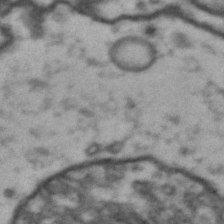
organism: Drosophila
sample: Brain